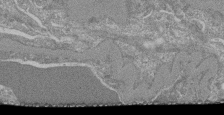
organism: Mouse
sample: Glomerulus